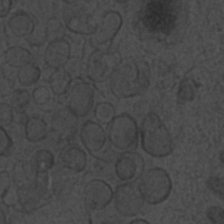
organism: C. elegans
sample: C. elegans embryo